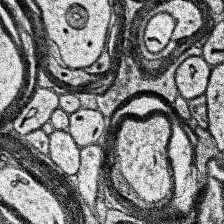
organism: Human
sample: Temporal Lobe